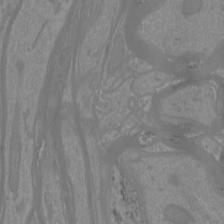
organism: Mouse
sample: Cortical neurons